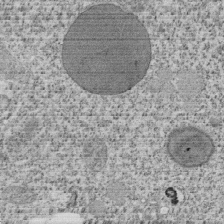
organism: Tetrahymena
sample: Cilia in tetrahymena